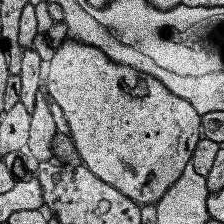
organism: Human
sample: Temporal Lobe